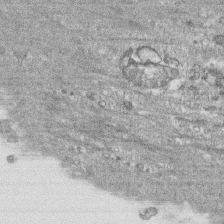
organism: Human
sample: CRL-1474